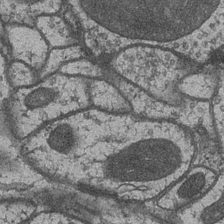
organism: Drosophila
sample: Optic medulla